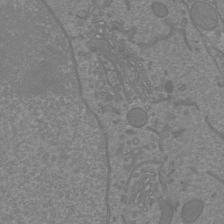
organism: Mouse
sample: Cortical neurons